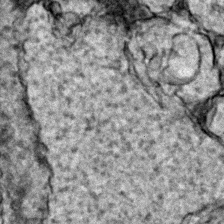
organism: Zebrafish